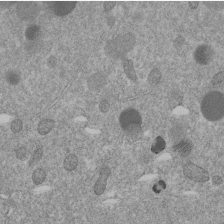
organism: C. elegans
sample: C. elegans embryo early stage